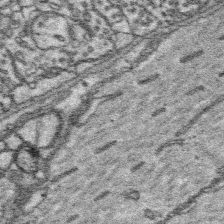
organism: Platynereis dumerilii